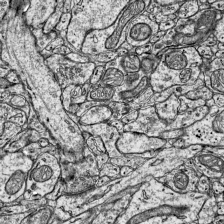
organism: Mouse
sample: Visual Cortex